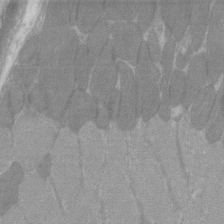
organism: C57BL Mouse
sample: Tibialis anterior muscle cell